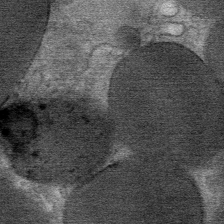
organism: Mouse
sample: Mouse Salivary gland